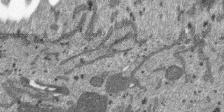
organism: Human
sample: Lung epithelial cells infected with SARS-CoV-2